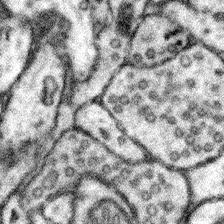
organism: Mouse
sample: Somatosensory cortex neuropil